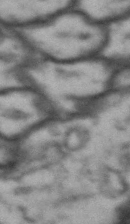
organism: Drosophila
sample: Brain